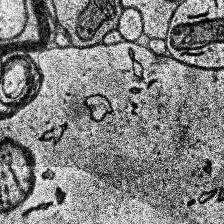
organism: Human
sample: Temporal Lobe